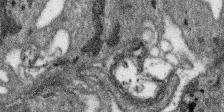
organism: Human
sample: Lung epithelial cells infected with SARS-CoV-2